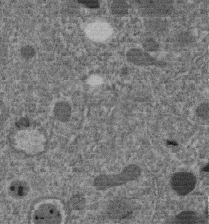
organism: C. elegans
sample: C. elegans embryo early stage